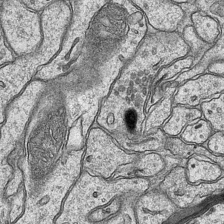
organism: Mouse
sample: CA1 Hippocampus